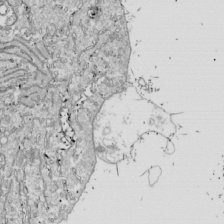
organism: Drosophila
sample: Cell division; meiosis; drosophila spermatocytes